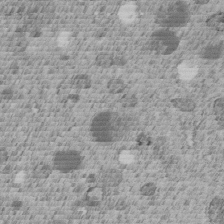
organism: C. elegans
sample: C. elegans embryo early stage